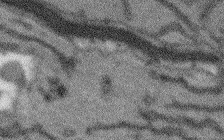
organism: Arabidopsis thaliana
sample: Root tip